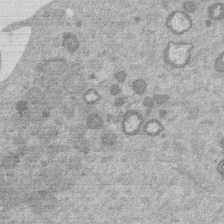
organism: Mouse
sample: Dividing mouse embryo 1 cell stage